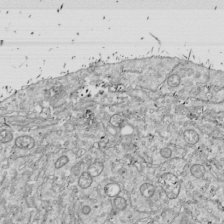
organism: Drosophila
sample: Cell division; meiosis; drosophila spermatocytes